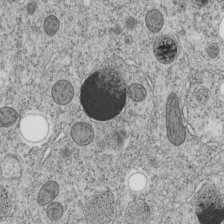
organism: C. elegans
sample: C. elegans embryo early stage